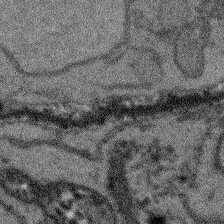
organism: Arabidopsis thaliana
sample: Root tip